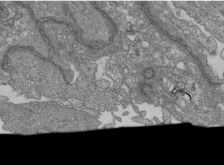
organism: Human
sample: Retinal organoid Rod and Cone cells